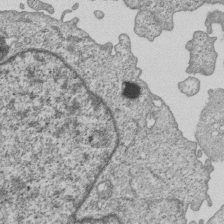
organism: Human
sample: MDA-MB-231 cells